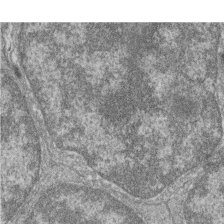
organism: Zebrafish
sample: Cilia; retinal pigment epithelium